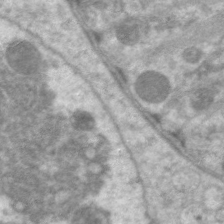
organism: C. elegans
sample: Pharynx